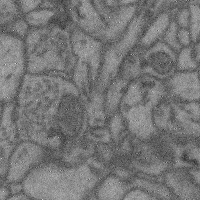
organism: Mouse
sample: Cerebral cortex